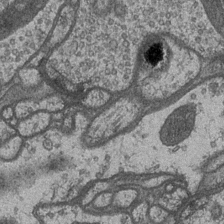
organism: Drosophila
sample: Optic medulla